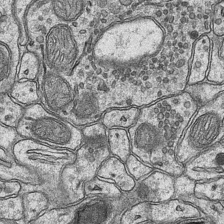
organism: Mouse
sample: CA1 Hippocampus